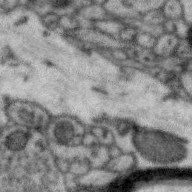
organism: Zebra finch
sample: Brain